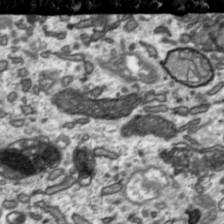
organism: Toxoplasma gondii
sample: Parasites in a vacuole inside a host cell